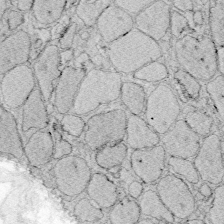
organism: Zebrafish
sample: Whole-Brain